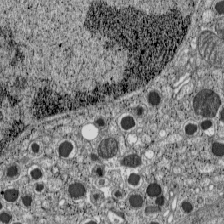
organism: C57BL Mouse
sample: Pancreatic islet